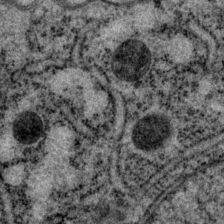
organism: P. pacificus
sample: Pharynx